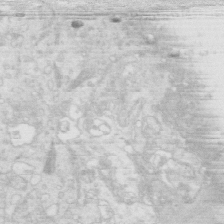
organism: Mouse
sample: Multiciliated cells